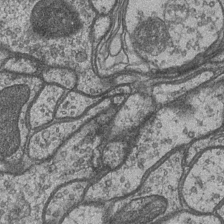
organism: Drosophila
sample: Optic medulla